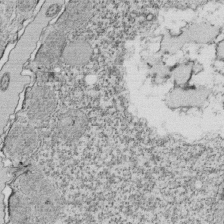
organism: Tetrahymena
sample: Cilia in tetrahymena